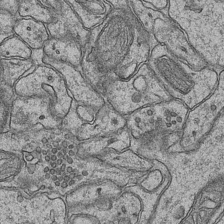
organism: Mouse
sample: CA1 Hippocampus